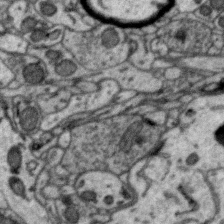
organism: Zebra finch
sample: Brain